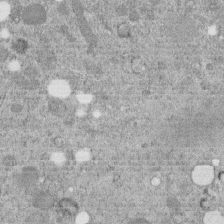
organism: C. elegans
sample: C. elegans embryo early stage